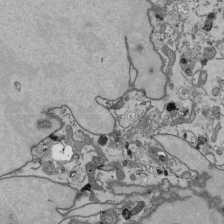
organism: Mouse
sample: ED-1 cell nuclei; centrioles